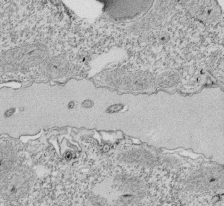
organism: Tetrahymena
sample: Cilia in tetrahymena